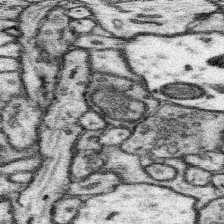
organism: Mouse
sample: Somatosensory cortex neuropil